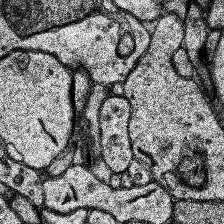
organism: Human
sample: Temporal Lobe